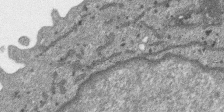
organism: Human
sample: Lung epithelial cells infected with SARS-CoV-2